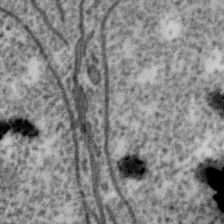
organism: Zebra finch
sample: Brain